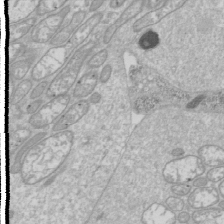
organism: Drosophila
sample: Cell division; meiosis; drosophila spermatocytes